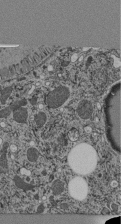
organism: C. elegans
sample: C. elegans pharynx